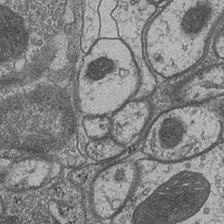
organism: Drosophila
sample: Optic medulla